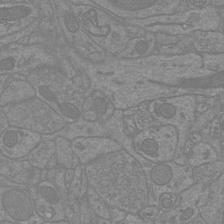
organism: Mouse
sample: Cortical neurons